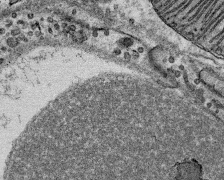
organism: Mouse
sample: Mouse Salivary gland